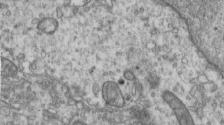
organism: Human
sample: Centriole in RPE cells